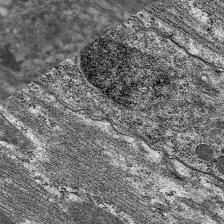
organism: C. elegans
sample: Pharynx